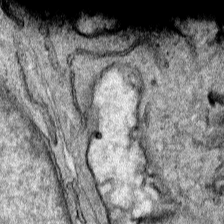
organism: Human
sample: Mitochondria in HCT116 cells